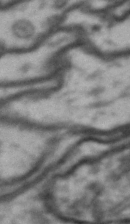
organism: Drosophila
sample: Brain